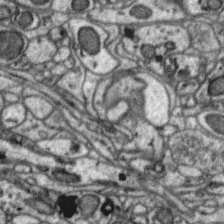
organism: Zebra finch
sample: Brain